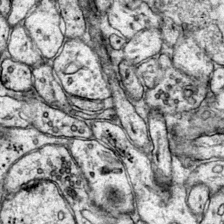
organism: Mouse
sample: Primary visual cortex